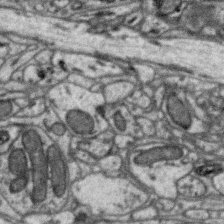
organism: Zebra finch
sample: Brain